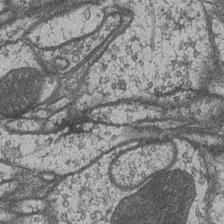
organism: Drosophila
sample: Optic medulla